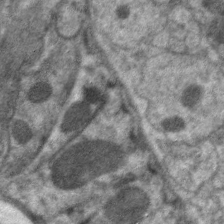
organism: C. elegans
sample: Pharynx